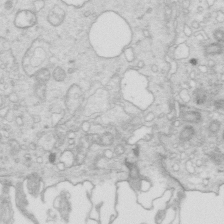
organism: Mouse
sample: Multiciliated cells